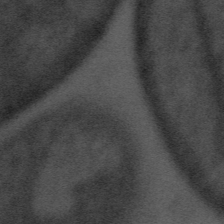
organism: Tuwongella immobilis